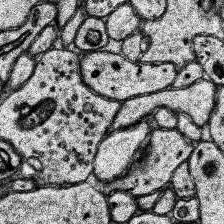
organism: Human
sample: Temporal Lobe